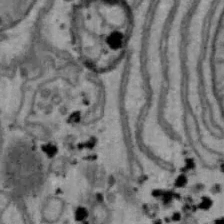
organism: Mouse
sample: Liver